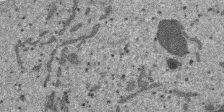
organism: Human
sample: Lung epithelial cells infected with SARS-CoV-2